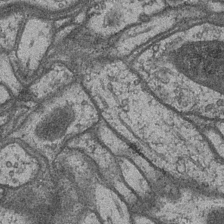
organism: Drosophila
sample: Optic medulla